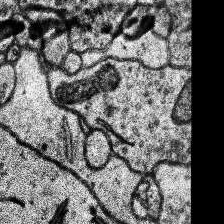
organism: Human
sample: Temporal Lobe